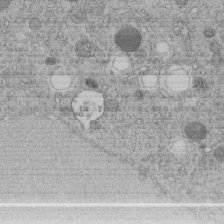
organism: C. elegans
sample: C. elegans embryo early stage